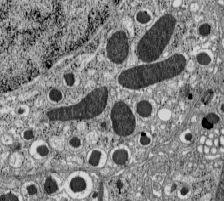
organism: C57BL Mouse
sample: Pancreatic islet